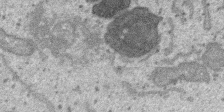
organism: Human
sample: Lung epithelial cells infected with SARS-CoV-2